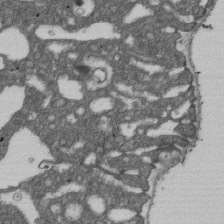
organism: Drosophila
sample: Nephrocyte